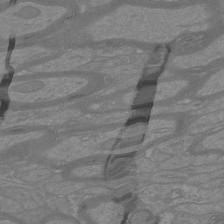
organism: Mouse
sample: Cortical neurons